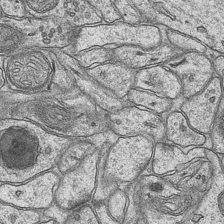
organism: Mouse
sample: CA1 Hippocampus